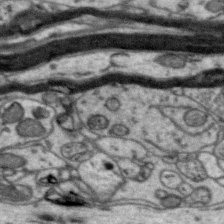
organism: Zebra finch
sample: Brain